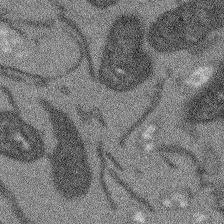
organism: Arabidopsis thaliana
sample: Root tip